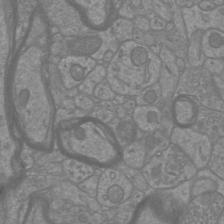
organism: Mouse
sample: Cortical neurons